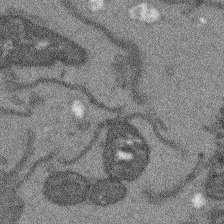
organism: Arabidopsis thaliana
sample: Root tip